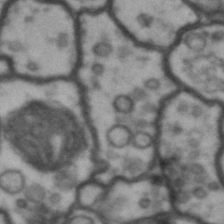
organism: Drosophila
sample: Brain